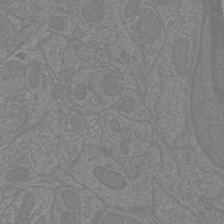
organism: Mouse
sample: Cortical neurons